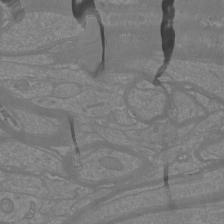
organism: Mouse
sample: Cortical neurons